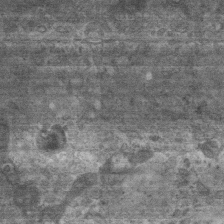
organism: Mouse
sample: Centriole in ependymal cells